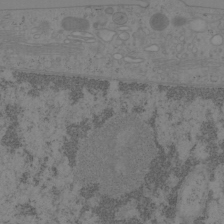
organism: Human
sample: HeLa cells